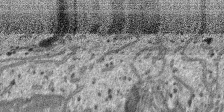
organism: Human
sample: Lung epithelial cells infected with SARS-CoV-2